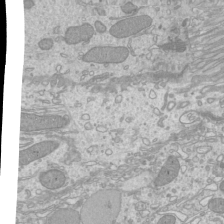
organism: Mouse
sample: Cilia; mouse epididymis